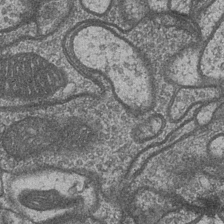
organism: Drosophila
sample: Optic medulla